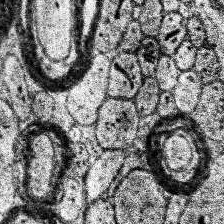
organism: Human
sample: Temporal Lobe